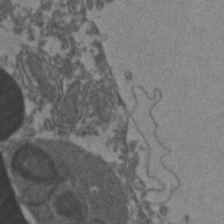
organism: Zebrafish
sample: Zebrafish embryo